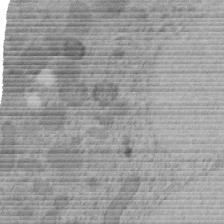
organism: C. elegans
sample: C. elegans embryo early stage